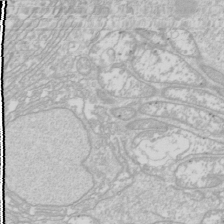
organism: Drosophila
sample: Cell division; meiosis; drosophila spermatocytes